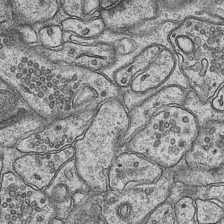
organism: Mouse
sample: CA1 Hippocampus